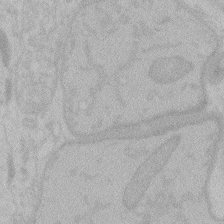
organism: Zebrafish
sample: Macrophage infected with Toxoplasma gondii